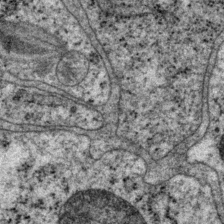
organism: P. pacificus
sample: Pharynx